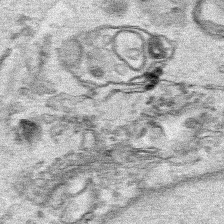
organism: Human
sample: Mitochondria in HCT116 cells